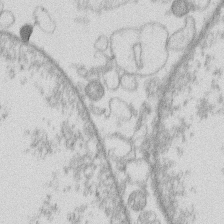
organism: Human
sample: Macrophage cells